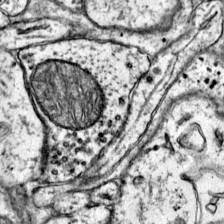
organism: Mouse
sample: Primary visual cortex